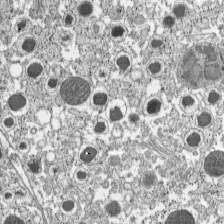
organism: C57BL Mouse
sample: Pancreatic islet